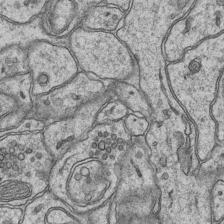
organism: Mouse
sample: CA1 Hippocampus